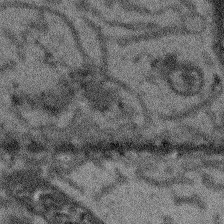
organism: Arabidopsis thaliana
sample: Root tip